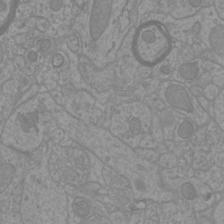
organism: Mouse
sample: Cortical neurons